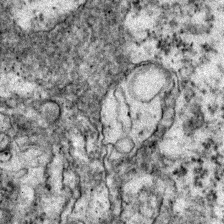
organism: Zebrafish